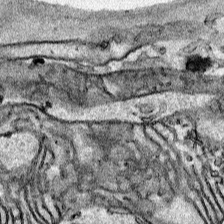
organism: Human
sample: Mitochondria in HCT116 cells